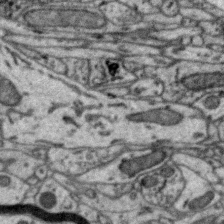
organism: Zebra finch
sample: Brain